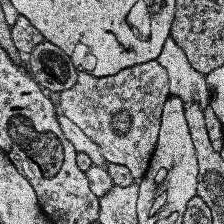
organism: Human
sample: Temporal Lobe